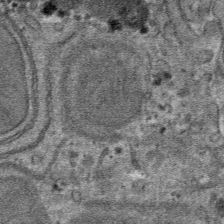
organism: Mouse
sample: Mouse hepatocytes